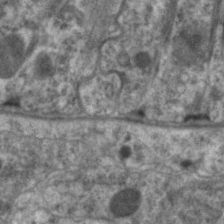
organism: C. elegans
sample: Pharynx